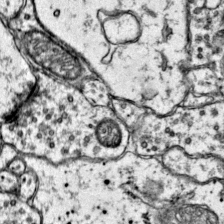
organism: Mouse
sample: Primary visual cortex